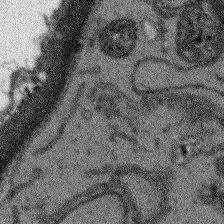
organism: Arabidopsis thaliana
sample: Root tip